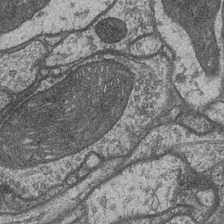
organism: Drosophila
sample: Optic medulla